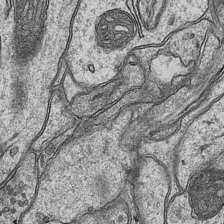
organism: Mouse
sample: CA1 Hippocampus